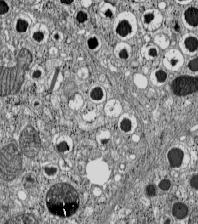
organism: C57BL Mouse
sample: Pancreatic islet